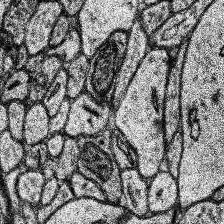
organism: Human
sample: Temporal Lobe